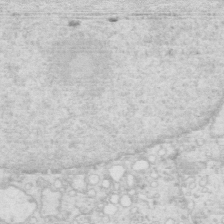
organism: Mouse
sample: Multiciliated cells